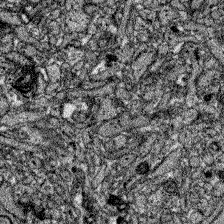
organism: Zebrafish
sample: Larval olfactory bulb